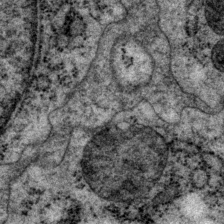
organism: P. pacificus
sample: Pharynx